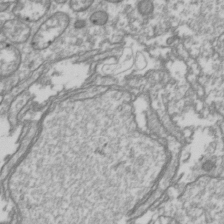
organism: Drosophila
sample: Cell division; meiosis; drosophila spermatocytes